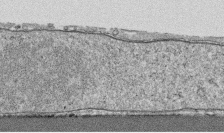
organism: Human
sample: CRL-1474